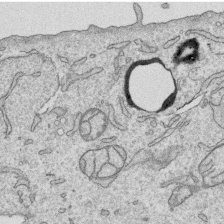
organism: Human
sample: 1205lu cells